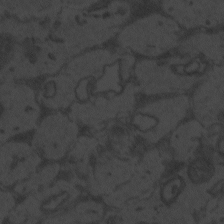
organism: Zebrafish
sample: Macrophage infected with Toxoplasma gondii